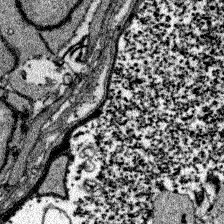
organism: Zebrafish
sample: Larval olfactory bulb